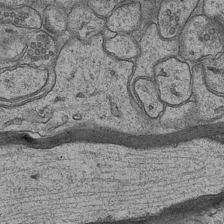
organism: Mouse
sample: CA1 Hippocampus